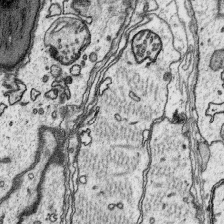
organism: Platynereis dumerilii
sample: Parapodia